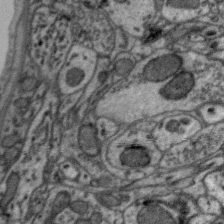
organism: Zebra finch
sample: Brain